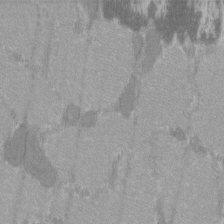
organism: C57BL Mouse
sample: Tibialis anterior muscle cell